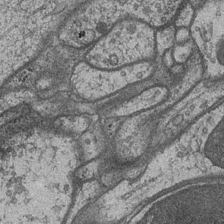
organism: Drosophila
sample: Optic medulla